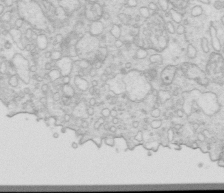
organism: Mouse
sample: Multiciliated cells